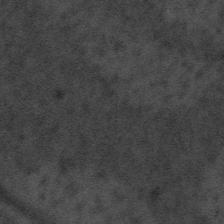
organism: Tuwongella immobilis